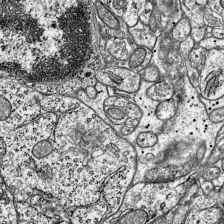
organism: Mouse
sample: Visual Cortex